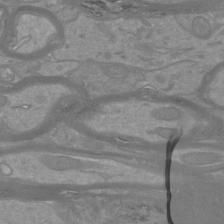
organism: Mouse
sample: Cortical neurons